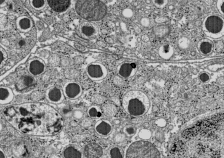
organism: C57BL Mouse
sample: Pancreatic islet